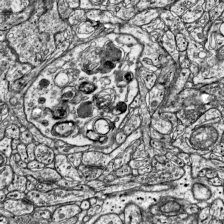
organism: Mouse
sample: Visual Cortex